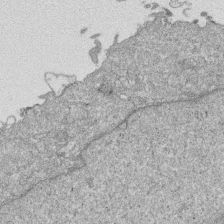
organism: Human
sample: HeLa cell HIV synapse